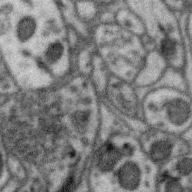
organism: Zebra finch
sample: Brain